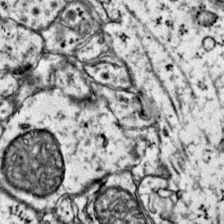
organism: Mouse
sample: Primary visual cortex